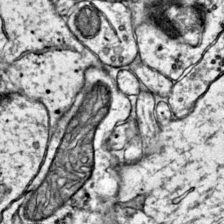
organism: Mouse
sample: Primary visual cortex